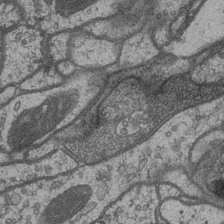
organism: Drosophila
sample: Optic medulla